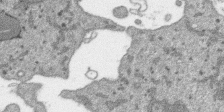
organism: Human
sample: Lung epithelial cells infected with SARS-CoV-2